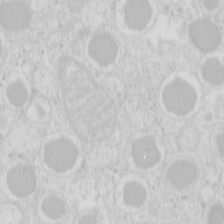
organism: Mouse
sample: Pancreas